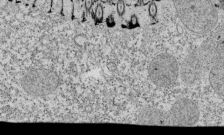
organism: Tetrahymena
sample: Cilia in tetrahymena